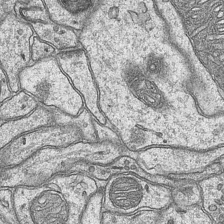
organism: Mouse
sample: CA1 Hippocampus